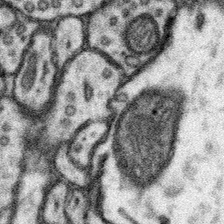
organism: Mouse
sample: Somatosensory cortex neuropil